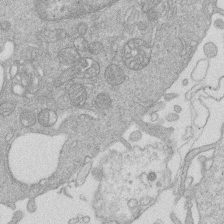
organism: Human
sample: Macrophage cells